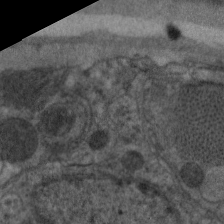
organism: C. elegans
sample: Pharynx